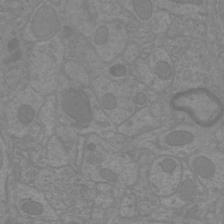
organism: Mouse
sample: Cortical neurons